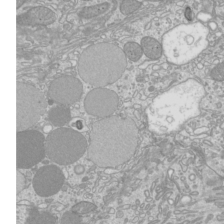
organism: Mouse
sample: Cilia; mouse epididymis